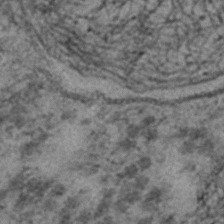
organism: C. elegans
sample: C. elegans embryo